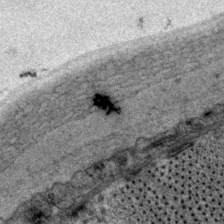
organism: P. pacificus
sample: Pharynx